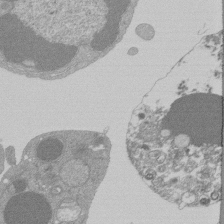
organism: Mouse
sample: Activated Pmel transgenic CD8+ T Cells